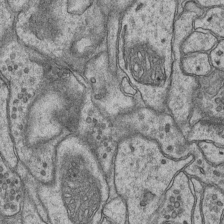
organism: Mouse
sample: CA1 Hippocampus